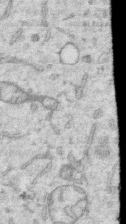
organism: Human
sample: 1205lu cells